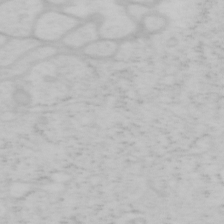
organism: Mouse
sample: OT-I killer T cells with ID8 ovarian cancer cells